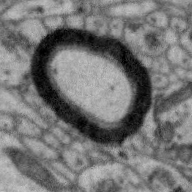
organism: Zebra finch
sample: Brain